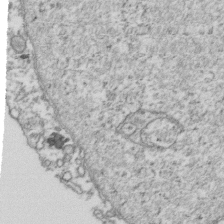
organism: Human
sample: Activated Jurkat CD4+ T cells